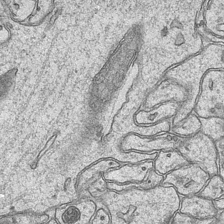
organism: Mouse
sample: CA1 Hippocampus